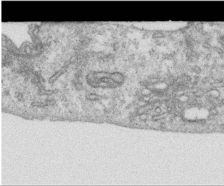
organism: Human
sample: Centriole in RPE cells